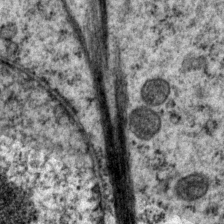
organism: P. pacificus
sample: Pharynx